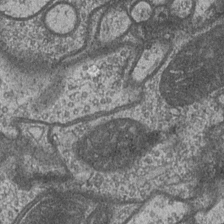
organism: Drosophila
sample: Optic medulla